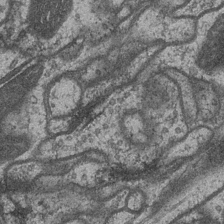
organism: Drosophila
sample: Optic medulla